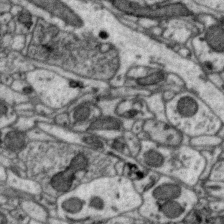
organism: Zebra finch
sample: Brain